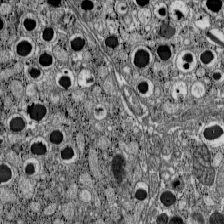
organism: C57BL Mouse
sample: Pancreatic islet